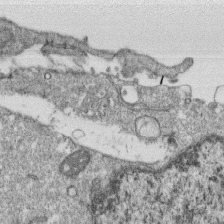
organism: African green monkey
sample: Vero E6 cells infected with SARS-CoV-2